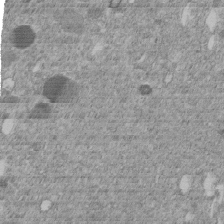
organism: C. elegans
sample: C. elegans embryo early stage